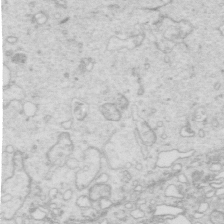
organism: Mouse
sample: Multiciliated cells